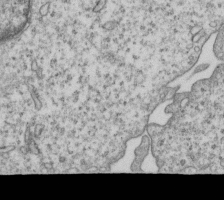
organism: Human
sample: MDA-MB-231 cells